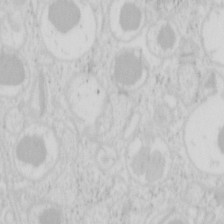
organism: Mouse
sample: Pancreas